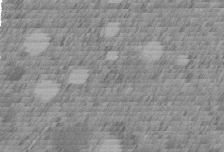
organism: C. elegans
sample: C. elegans embryo early stage